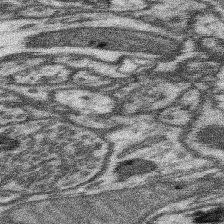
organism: Mouse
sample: Somatosensory cortex neuropil